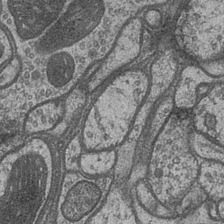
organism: Drosophila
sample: Optic medulla